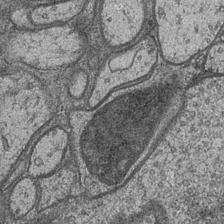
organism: Drosophila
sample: Optic medulla